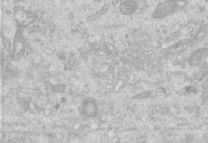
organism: Human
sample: Centriole in RPE cells